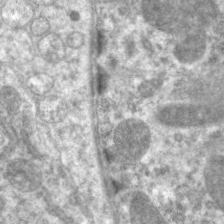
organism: C. elegans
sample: Pharynx